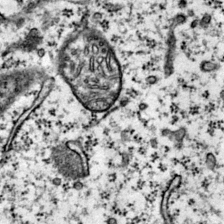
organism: Mouse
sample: Primary visual cortex